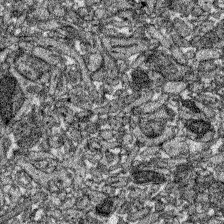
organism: Zebrafish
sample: Larval olfactory bulb